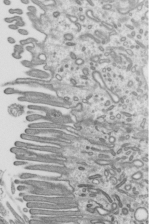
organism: Mouse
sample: Mouse epididymis efferent ductule cilia